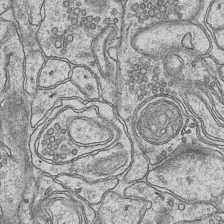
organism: Mouse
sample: CA1 Hippocampus